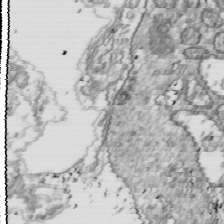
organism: Drosophila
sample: Cell division; meiosis; drosophila spermatocytes